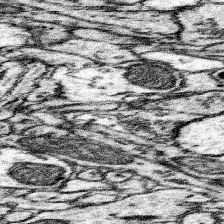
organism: Mouse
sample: Somatosensory cortex neuropil